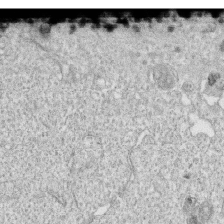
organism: Human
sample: HeLa cell HIV synapse